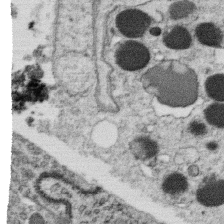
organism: C. elegans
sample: C. elegans oocyte; sperm cells